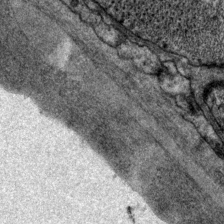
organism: P. pacificus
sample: Pharynx